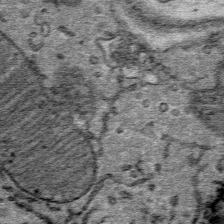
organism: Mouse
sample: Mouse Salivary gland